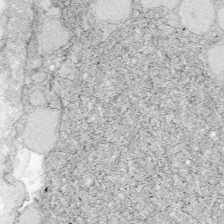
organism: Zebrafish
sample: Whole-Brain